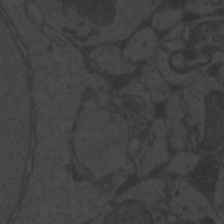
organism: Zebrafish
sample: Macrophage infected with Toxoplasma gondii